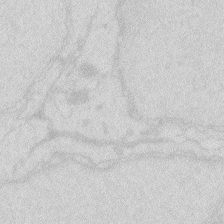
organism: Zebrafish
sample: Macrophage